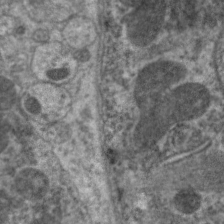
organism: C. elegans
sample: Pharynx